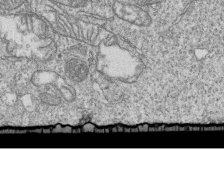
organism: Human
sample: HeLa cell HIV synapse